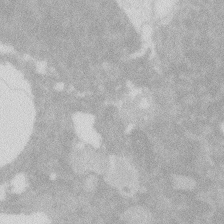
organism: Zebrafish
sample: Macrophage